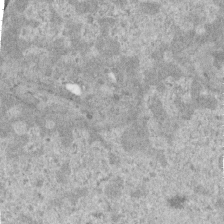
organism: Human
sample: Centriole in RPE cells